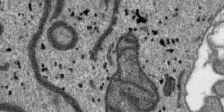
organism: Human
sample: Lung epithelial cells, uninfected (mock) control